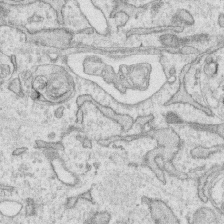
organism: Human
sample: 1205lu cells